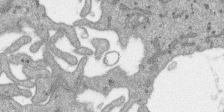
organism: Human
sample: Lung epithelial cells infected with SARS-CoV-2